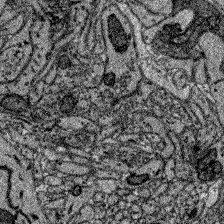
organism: Zebrafish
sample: Larval olfactory bulb